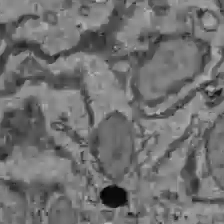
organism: C57BL Mouse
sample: Liver